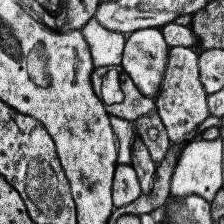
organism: Human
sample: Temporal Lobe